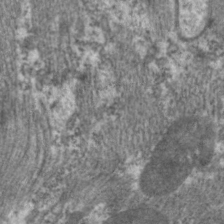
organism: C. elegans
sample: Pharynx